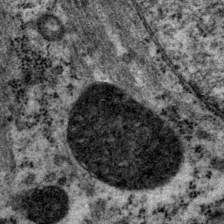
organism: P. pacificus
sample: Pharynx